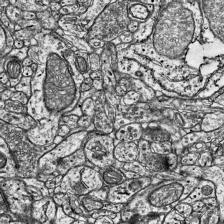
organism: Mouse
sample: Visual Cortex